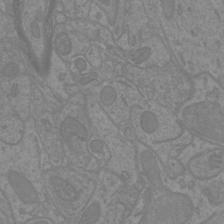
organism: Mouse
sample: Cortical neurons